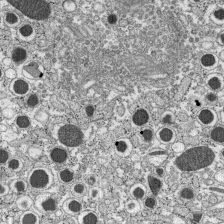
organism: C57BL Mouse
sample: Pancreatic islet